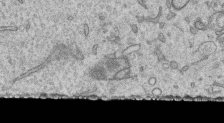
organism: Human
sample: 1205lu cells